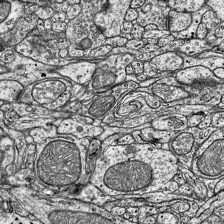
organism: Mouse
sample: Visual Cortex